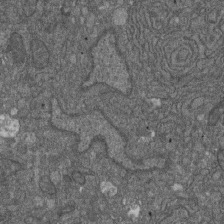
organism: Drosophila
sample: Nephrocyte